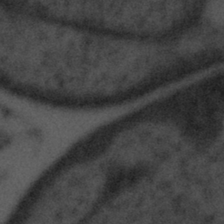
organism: Tuwongella immobilis